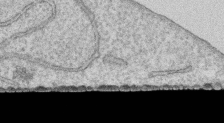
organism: Human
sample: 1205lu cells